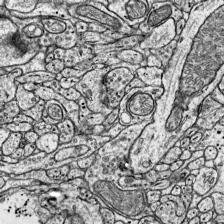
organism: Mouse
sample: Visual Cortex